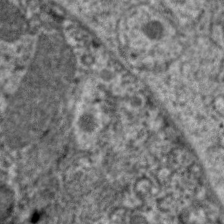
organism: C. elegans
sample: Pharynx